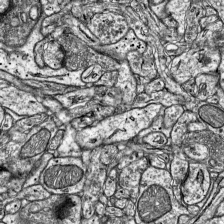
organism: Mouse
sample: Visual Cortex